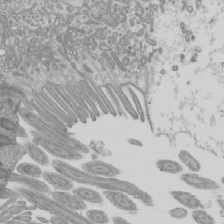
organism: Mouse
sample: Cilia; mouse epididymis